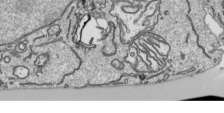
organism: Human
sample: Mitochondria in HCT116 cells